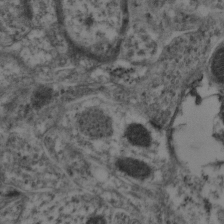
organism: Mouse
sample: Neocortex